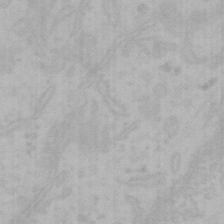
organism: Mouse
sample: Choroid plexus